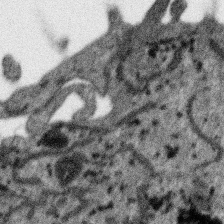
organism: Human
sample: Lung epithelial cells infected with SARS-CoV-2